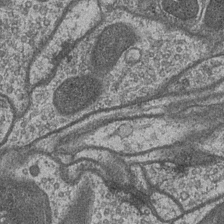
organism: Drosophila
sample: Optic medulla